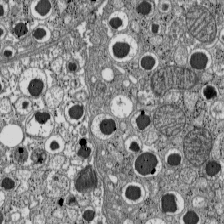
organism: C57BL Mouse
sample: Pancreatic islet